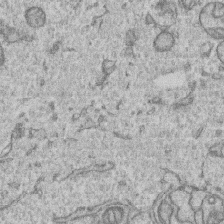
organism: Human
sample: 1205lu cells